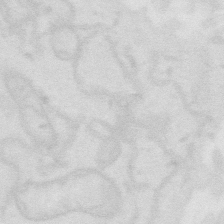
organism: Human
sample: HeLa cells